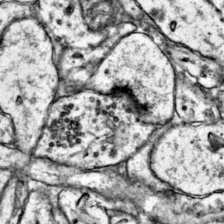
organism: Mouse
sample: Primary visual cortex